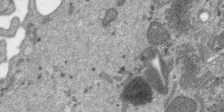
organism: Human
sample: Lung epithelial cells infected with SARS-CoV-2